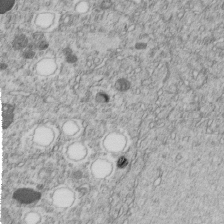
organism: C. elegans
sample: C. elegans embryo early stage